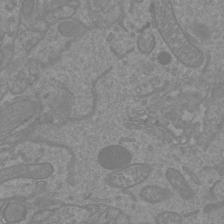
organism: Mouse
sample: Cortical neurons